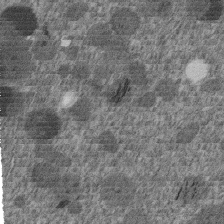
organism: C. elegans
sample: C. elegans embryo early stage